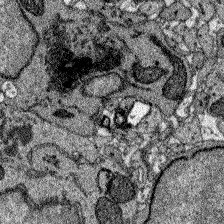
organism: Zebrafish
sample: Larval olfactory bulb